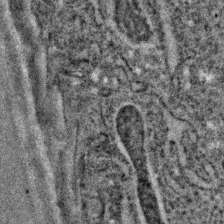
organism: C. elegans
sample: C. elegans embryo